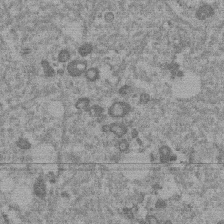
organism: Mouse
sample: Dividing mouse embryo 1 cell stage